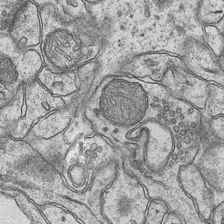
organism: Mouse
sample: CA1 Hippocampus